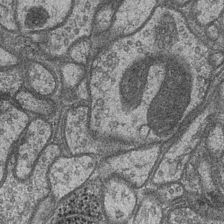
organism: Drosophila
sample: Optic medulla